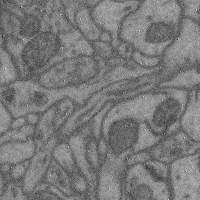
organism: Mouse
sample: Cerebral cortex